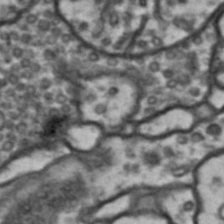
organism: Drosophila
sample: Brain